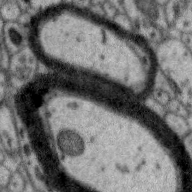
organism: Zebra finch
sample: Brain